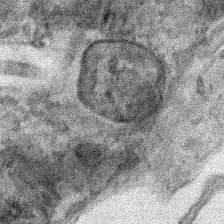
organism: Human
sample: Mitochondria in HCT116 cells